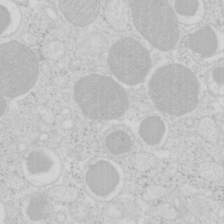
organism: Mouse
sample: Pancreas